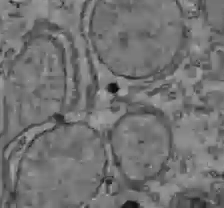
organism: C57BL Mouse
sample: Liver